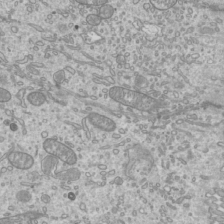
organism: Mouse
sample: Cilia; mouse epididymis